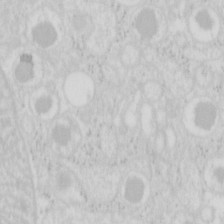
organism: Mouse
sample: Pancreas